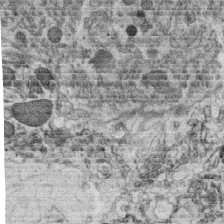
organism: C. elegans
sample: C. elegans oocyte; sperm cells